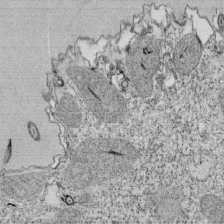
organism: Tetrahymena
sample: Cilia in tetrahymena